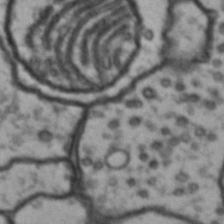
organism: Drosophila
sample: Brain